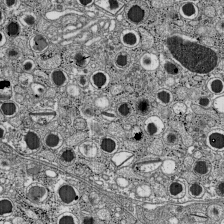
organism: C57BL Mouse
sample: Pancreatic islet